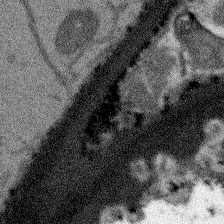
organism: Arabidopsis thaliana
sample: Root tip